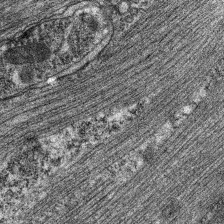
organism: C. elegans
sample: Pharynx